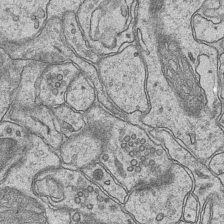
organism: Mouse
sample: CA1 Hippocampus